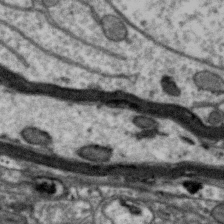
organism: Zebra finch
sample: Brain